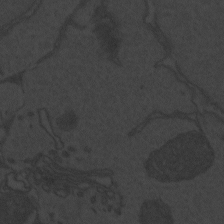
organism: Zebrafish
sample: Macrophage infected with Toxoplasma gondii